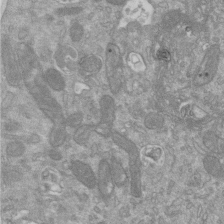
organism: Mouse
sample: ED-1 cell nuclei; centrioles